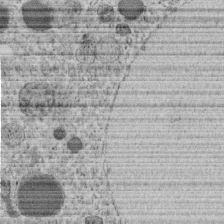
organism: C. elegans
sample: C. elegans embryo early stage